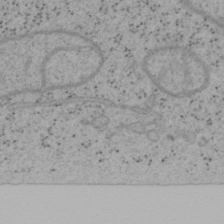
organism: Human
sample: HeLa cells